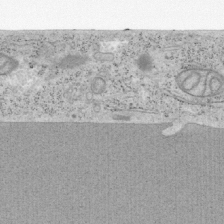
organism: Human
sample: HeLa cells